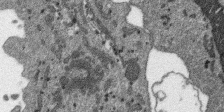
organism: Human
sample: Lung epithelial cells infected with SARS-CoV-2